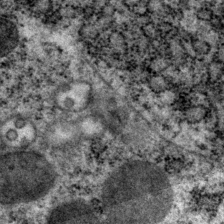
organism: P. pacificus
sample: Pharynx